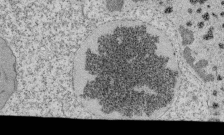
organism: Tetrahymena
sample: Cilia in tetrahymena